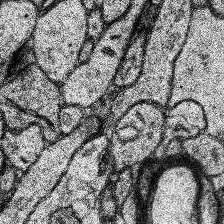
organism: Human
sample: Temporal Lobe